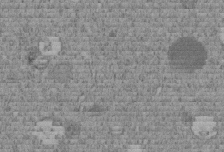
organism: C. elegans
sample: C. elegans embryo early stage